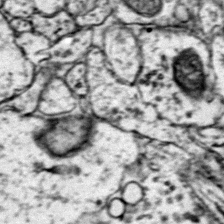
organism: Mouse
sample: Primary visual cortex